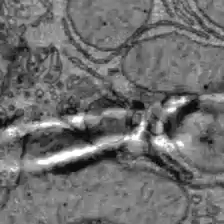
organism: C57BL Mouse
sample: Liver